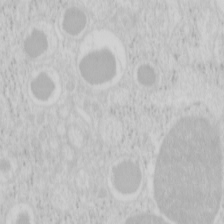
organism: Mouse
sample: Pancreas